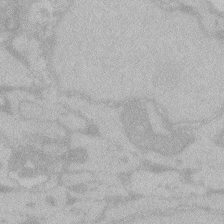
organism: Zebrafish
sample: Macrophage infected with Toxoplasma gondii